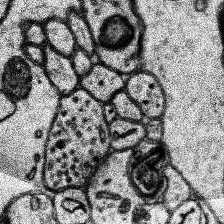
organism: Human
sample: Temporal Lobe